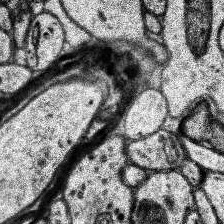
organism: Human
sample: Temporal Lobe